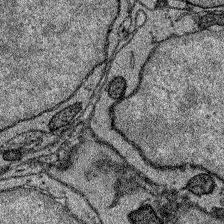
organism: Zebrafish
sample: Larval olfactory bulb